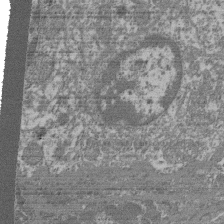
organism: Mouse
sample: Glomerulus